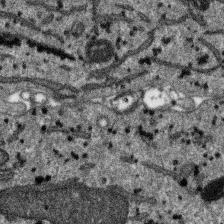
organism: Human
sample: Lung epithelial cells infected with SARS-CoV-2